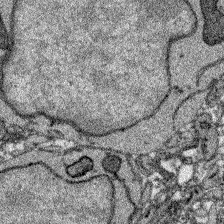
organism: Zebrafish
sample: Larval olfactory bulb